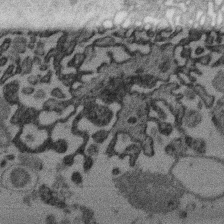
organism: Mouse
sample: Dividing mouse embryo 1 cell stage